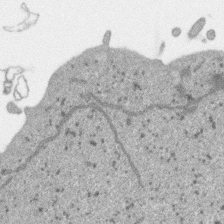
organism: Human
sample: Lung epithelial cells infected with SARS-CoV-2